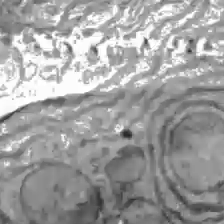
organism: C57BL Mouse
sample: Liver